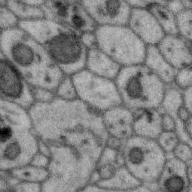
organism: Zebra finch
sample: Brain